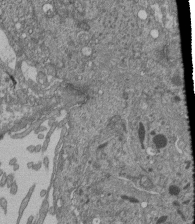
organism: Human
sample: Retinal organoid Rod and Cone cells